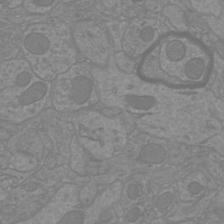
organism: Mouse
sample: Cortical neurons